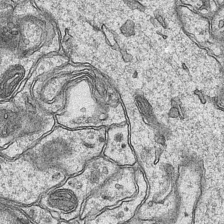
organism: Mouse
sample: CA1 Hippocampus